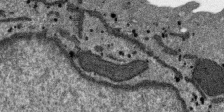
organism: Human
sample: Lung epithelial cells, uninfected (mock) control